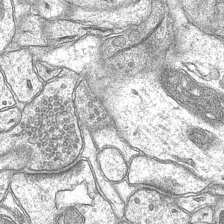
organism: Mouse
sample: CA1 Hippocampus